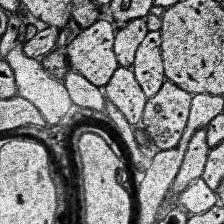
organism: Human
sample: Temporal Lobe